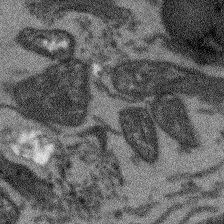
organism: Arabidopsis thaliana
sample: Root tip